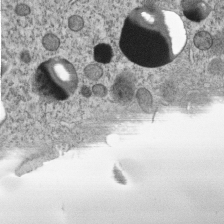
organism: C. elegans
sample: C. elegans embryo early stage